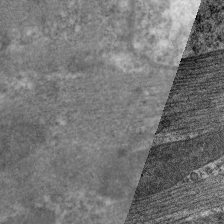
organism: C. elegans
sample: Pharynx